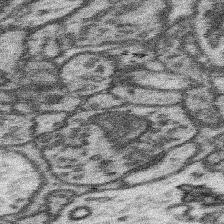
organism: Mouse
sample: Somatosensory cortex neuropil